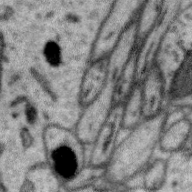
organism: Zebra finch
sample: Brain